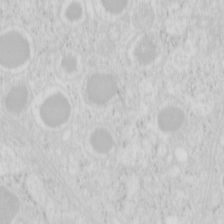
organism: Mouse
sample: Pancreas